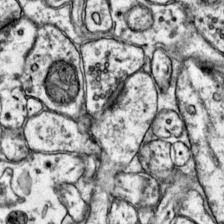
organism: Mouse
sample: Primary visual cortex